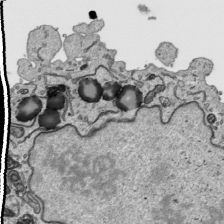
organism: Human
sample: Mitochondria in HCT116 cells